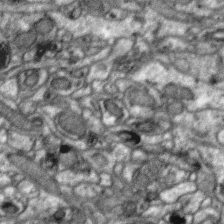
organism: Zebra finch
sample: Brain